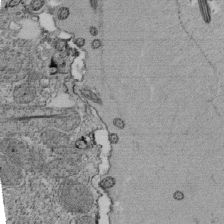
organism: Tetrahymena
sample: Cilia in tetrahymena